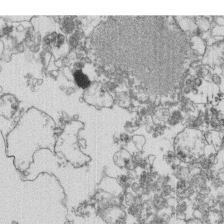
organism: Human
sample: HeLa cell HIV synapse